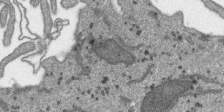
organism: Human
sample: Lung epithelial cells infected with SARS-CoV-2